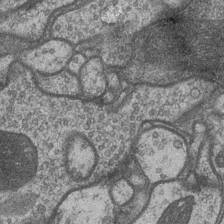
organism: Drosophila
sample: Optic medulla